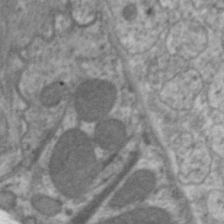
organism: C. elegans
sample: Pharynx